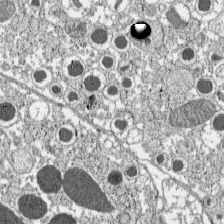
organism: C57BL Mouse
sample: Pancreatic islet